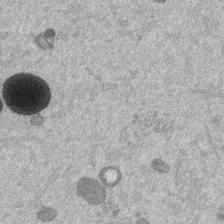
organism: Mouse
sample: Dividing mouse embryo 1 cell stage